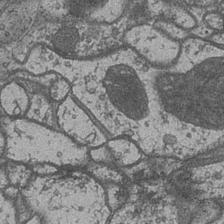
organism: Drosophila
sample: Optic medulla